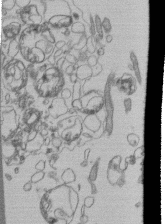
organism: Human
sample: Retinal organoid Rod and Cone cells